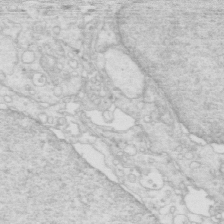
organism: Mouse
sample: Multiciliated cells